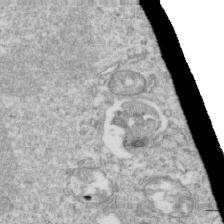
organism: Mouse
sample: Activated OT-1 CD8+ T cells